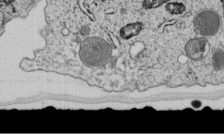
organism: C. elegans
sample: C. elegans embryo early stage